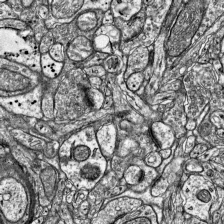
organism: Mouse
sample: Visual Cortex